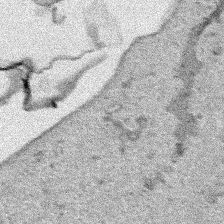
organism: Human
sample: Mitochondria in HCT116 cells